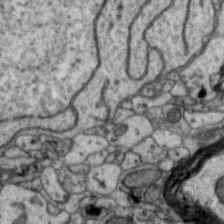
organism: Zebra finch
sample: Brain